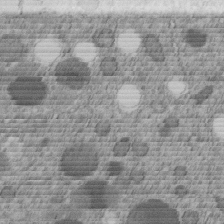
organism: C. elegans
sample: C. elegans embryo early stage